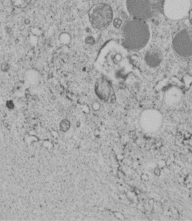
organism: C. elegans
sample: C. elegans embryo early stage